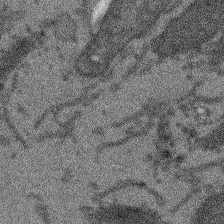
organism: Arabidopsis thaliana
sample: Root tip